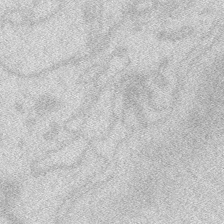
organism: Zebrafish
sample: Macrophage